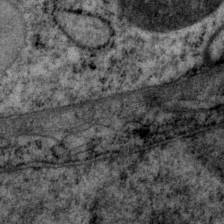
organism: P. pacificus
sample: Pharynx